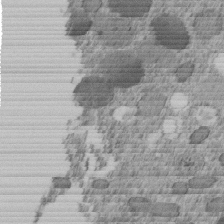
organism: C. elegans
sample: C. elegans embryo early stage